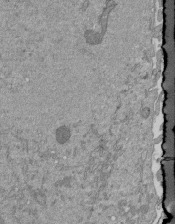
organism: Mouse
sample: ED-1 cell nuclei; centrioles